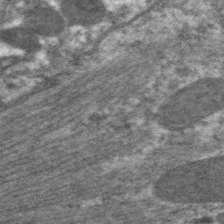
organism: C. elegans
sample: Pharynx